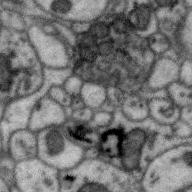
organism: Zebra finch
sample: Brain